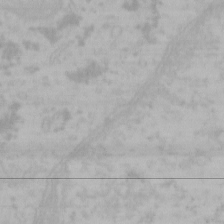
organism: Mouse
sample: Choroid plexus